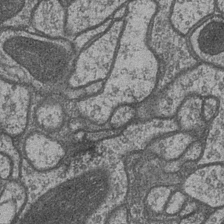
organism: Drosophila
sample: Optic medulla